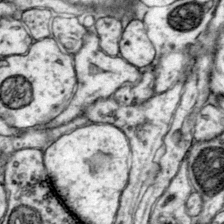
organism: Mouse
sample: Primary visual cortex